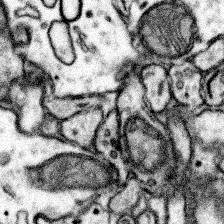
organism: Mouse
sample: Somatosensory cortex neuropil